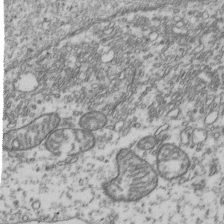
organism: Human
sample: Activated Jurkat CD4+ T cells